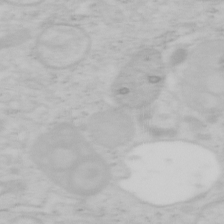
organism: Mouse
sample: OT-I killer T cells with ID8 ovarian cancer cells